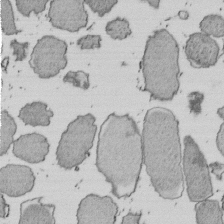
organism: E. coli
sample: Bacterial nucleoid